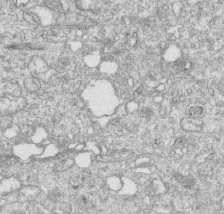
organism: Human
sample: HeLa cell HIV synapse